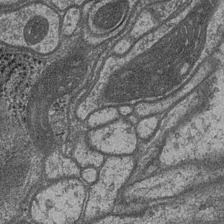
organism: Drosophila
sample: Optic medulla